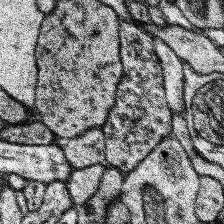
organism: Human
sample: Temporal Lobe